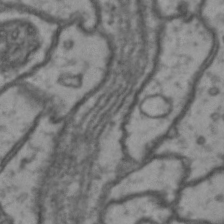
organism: Drosophila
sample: Brain